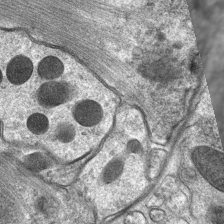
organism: C. elegans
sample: Pharynx